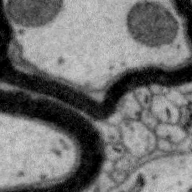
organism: Zebra finch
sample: Brain